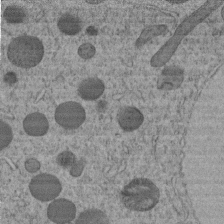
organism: C. elegans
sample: C. elegans embryo early stage